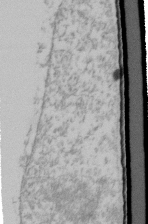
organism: Human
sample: U2-OS cells